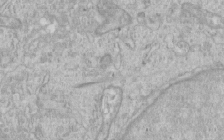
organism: Human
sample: Centriole in RPE cells